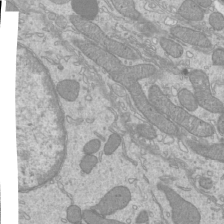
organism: Mouse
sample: Cilia; mouse epididymis